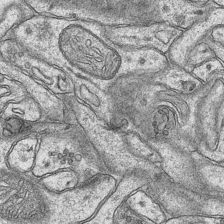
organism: Mouse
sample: CA1 Hippocampus